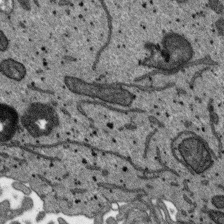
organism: Human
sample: Lung epithelial cells, uninfected (mock) control